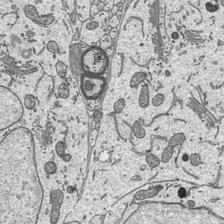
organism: Mouse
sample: Suprachiasmatic nucleus